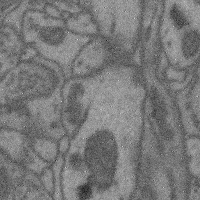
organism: Mouse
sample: Cerebral cortex